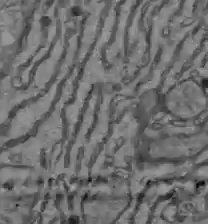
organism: C57BL Mouse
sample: Liver